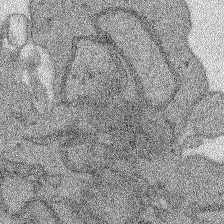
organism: Human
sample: HeLa cells